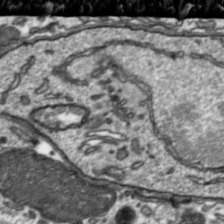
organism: Toxoplasma gondii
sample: Parasites in a vacuole inside a host cell